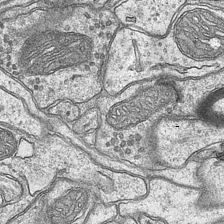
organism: Mouse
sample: CA1 Hippocampus